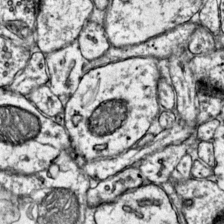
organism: Mouse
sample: Primary visual cortex